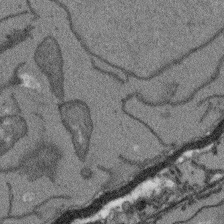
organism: Arabidopsis thaliana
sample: Root tip